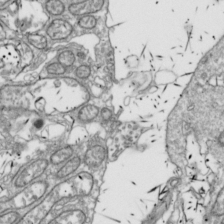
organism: Drosophila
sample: Cell division; meiosis; drosophila spermatocytes